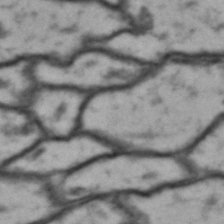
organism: Drosophila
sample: Brain